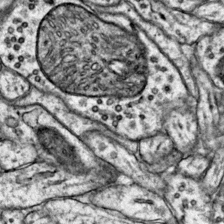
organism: Mouse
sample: Primary visual cortex